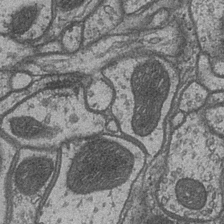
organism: Drosophila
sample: Optic medulla